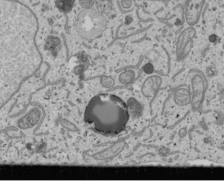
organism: Human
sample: Mitochondria in U2OS cells